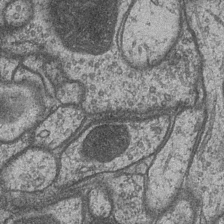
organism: Drosophila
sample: Optic medulla